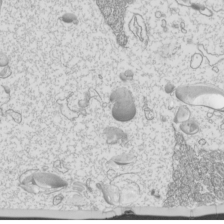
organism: Mouse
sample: Cilia; mouse epididymis